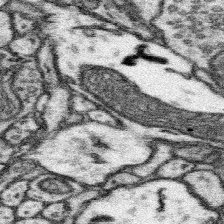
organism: Mouse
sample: Somatosensory cortex neuropil